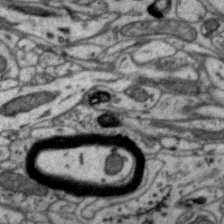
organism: Zebra finch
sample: Brain